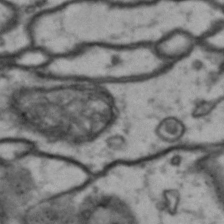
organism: Drosophila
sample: Brain